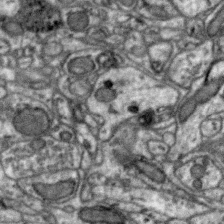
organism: Zebra finch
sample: Brain